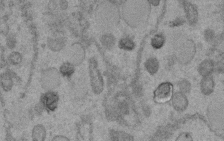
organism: C. elegans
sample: C. elegans embryo early stage